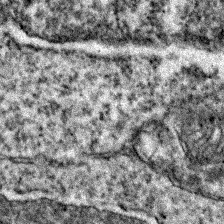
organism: Zebrafish